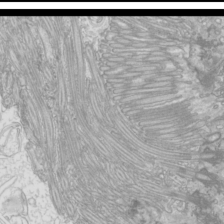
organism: Mouse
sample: Cilia; mouse epididymis